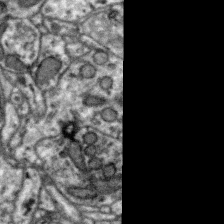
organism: Zebra finch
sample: Brain